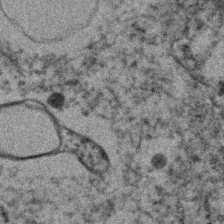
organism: Human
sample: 1205lu cells